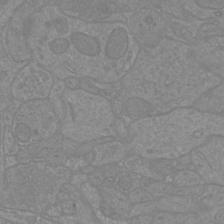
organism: Mouse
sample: Cortical neurons